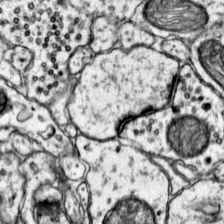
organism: Mouse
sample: Primary visual cortex